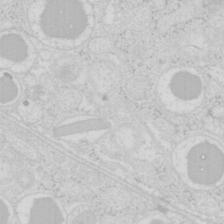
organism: Mouse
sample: Pancreas